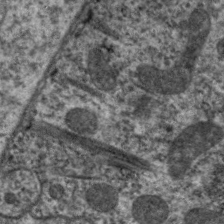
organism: C. elegans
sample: Pharynx